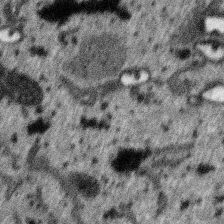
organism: Human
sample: Lung epithelial cells infected with SARS-CoV-2